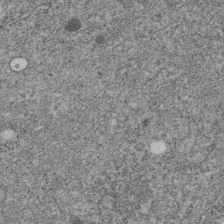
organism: C. elegans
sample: C. elegans embryo early stage